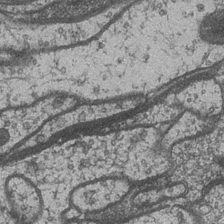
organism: Drosophila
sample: Optic medulla